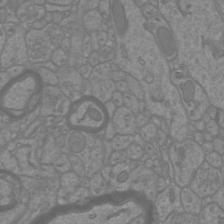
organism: Mouse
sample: Cortical neurons